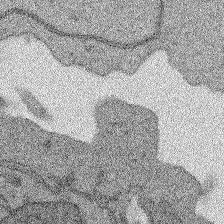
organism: Human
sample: HeLa cells